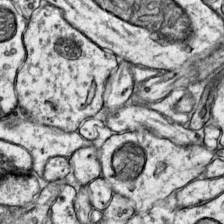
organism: Mouse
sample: Primary visual cortex